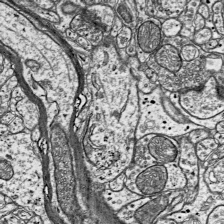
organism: Mouse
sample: Visual Cortex